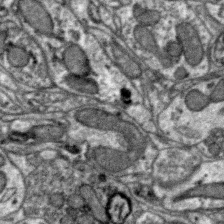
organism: Zebra finch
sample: Brain